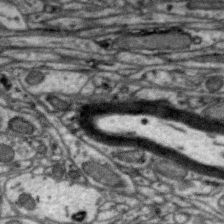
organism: Zebra finch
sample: Brain